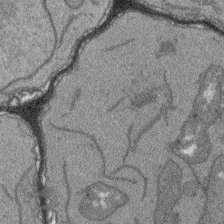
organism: Arabidopsis thaliana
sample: Root tip